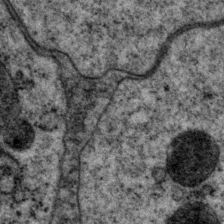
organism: P. pacificus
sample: Pharynx